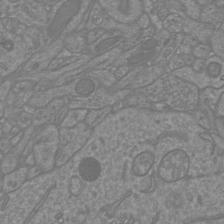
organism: Mouse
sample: Cortical neurons